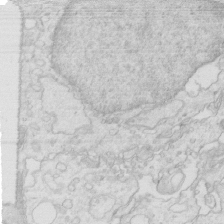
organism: Mouse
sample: Multiciliated cells